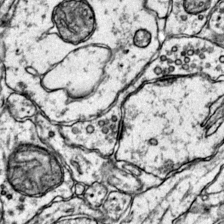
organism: Mouse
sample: Primary visual cortex